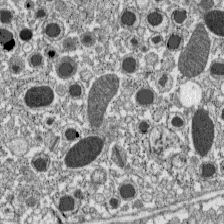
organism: C57BL Mouse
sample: Pancreatic islet